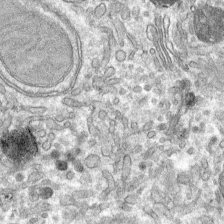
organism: Mouse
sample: Mouse hepatocytes